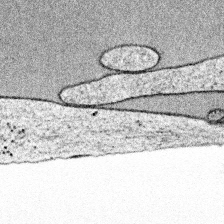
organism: Human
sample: HeLa cells